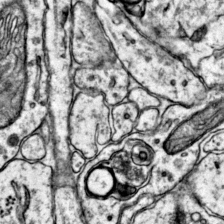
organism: Mouse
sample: Primary visual cortex